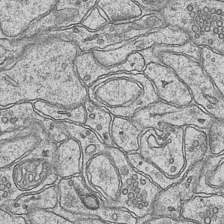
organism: Mouse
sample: CA1 Hippocampus